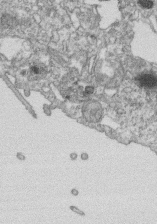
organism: Human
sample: HeLa cell HIV synapse